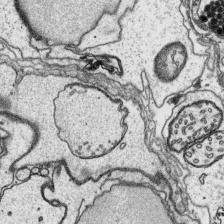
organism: Platynereis dumerilii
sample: Parapodia